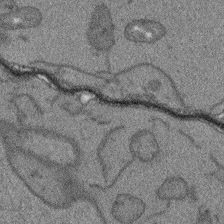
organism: Arabidopsis thaliana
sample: Root tip